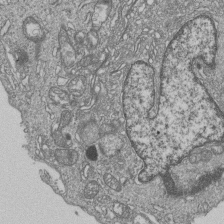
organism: Human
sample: MDA-MB-231 cells